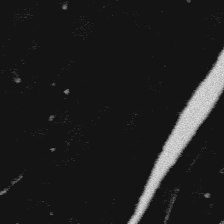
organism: Platynereis dumerilii